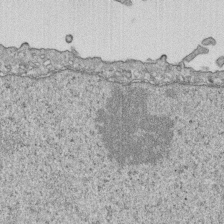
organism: Human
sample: HeLa cell HIV synapse